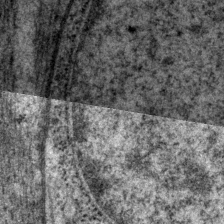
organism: P. pacificus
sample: Pharynx